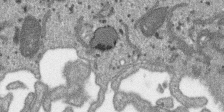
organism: Human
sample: Lung epithelial cells infected with SARS-CoV-2